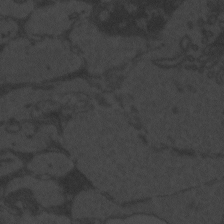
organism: Zebrafish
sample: Macrophage infected with Toxoplasma gondii